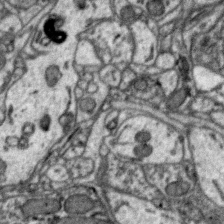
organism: Zebra finch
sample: Brain